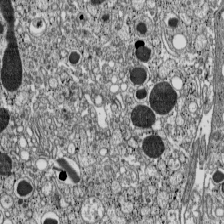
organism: C57BL Mouse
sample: Pancreatic islet